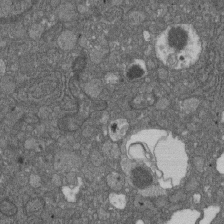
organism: Drosophila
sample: Nephrocyte